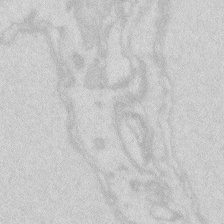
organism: Zebrafish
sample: Macrophage